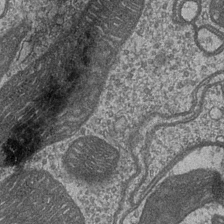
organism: Drosophila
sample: Optic medulla